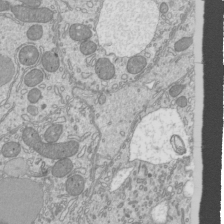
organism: Mouse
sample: Cilia; mouse epididymis